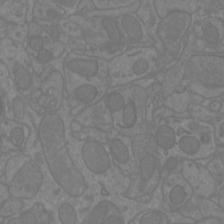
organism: Mouse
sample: Cortical neurons